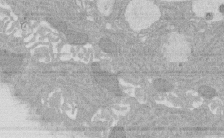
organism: Rat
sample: Salivary granule